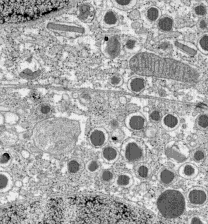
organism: C57BL Mouse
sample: Pancreatic islet